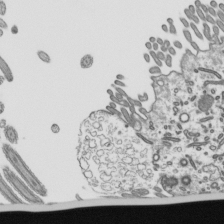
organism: Mouse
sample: Mouse epididymis efferent ductule cilia